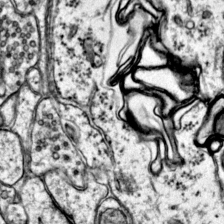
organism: Mouse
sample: Primary visual cortex